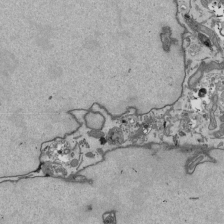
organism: Mouse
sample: ED-1 cell nuclei; centrioles